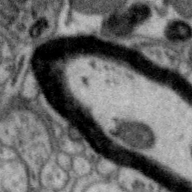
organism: Zebra finch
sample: Brain